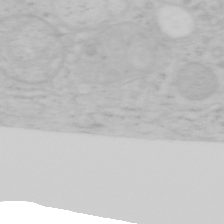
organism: Mouse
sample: OT-I killer T cells with ID8 ovarian cancer cells